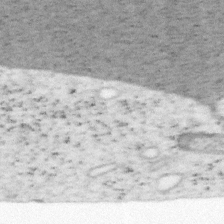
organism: Mouse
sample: OT-I killer T cells with ID8 ovarian cancer cells